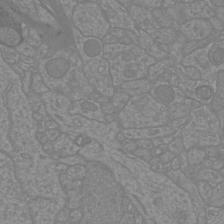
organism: Mouse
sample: Cortical neurons